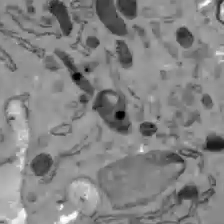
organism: C57BL Mouse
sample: Liver